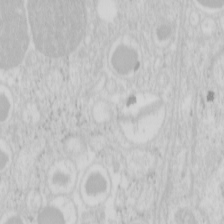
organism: Mouse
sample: Pancreas